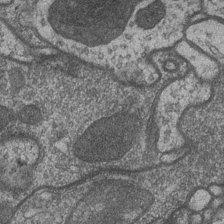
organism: Drosophila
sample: Optic medulla